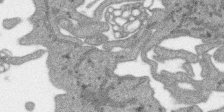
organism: Human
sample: Lung epithelial cells infected with SARS-CoV-2